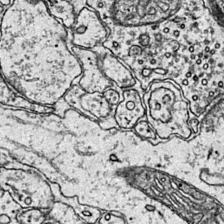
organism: Mouse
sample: Primary visual cortex